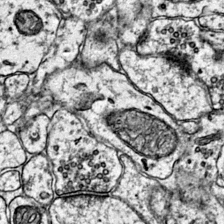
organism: Mouse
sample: Primary visual cortex